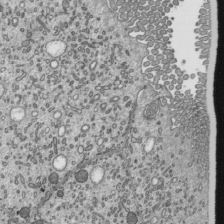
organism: Mouse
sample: Mouse epididymis efferent ductule cilia